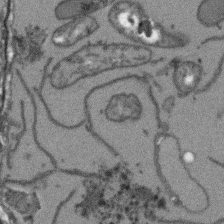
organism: Arabidopsis thaliana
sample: Root tip